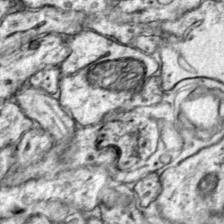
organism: Mouse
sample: Primary visual cortex